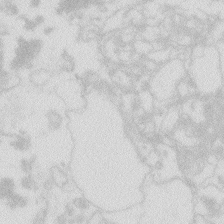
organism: Zebrafish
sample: Macrophage